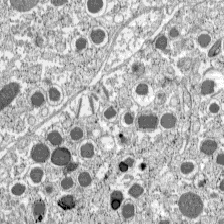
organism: C57BL Mouse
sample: Pancreatic islet